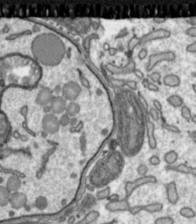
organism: Toxoplasma gondii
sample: Parasites in a vacuole inside a host cell